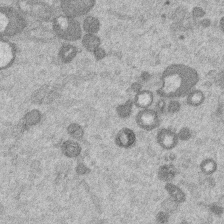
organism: Mouse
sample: Dividing mouse embryo 1 cell stage